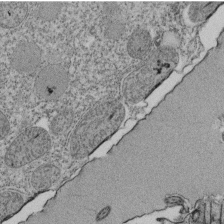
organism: Tetrahymena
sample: Cilia in tetrahymena